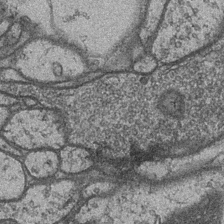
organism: Drosophila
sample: Optic medulla